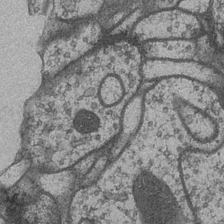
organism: Drosophila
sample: Optic medulla